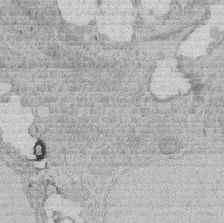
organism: Rat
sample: Salivary granule